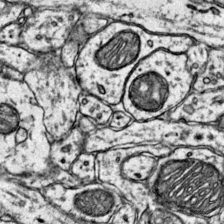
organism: Mouse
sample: Primary visual cortex